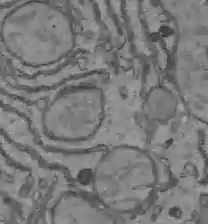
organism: C57BL Mouse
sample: Liver